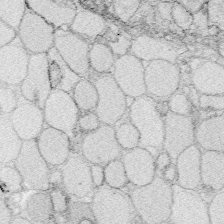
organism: Zebrafish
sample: Whole-Brain